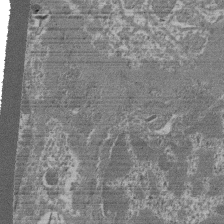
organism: Mouse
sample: Glomerulus